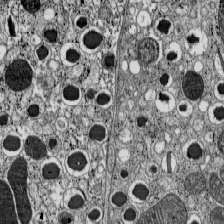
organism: C57BL Mouse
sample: Pancreatic islet